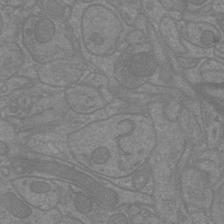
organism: Mouse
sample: Cortical neurons